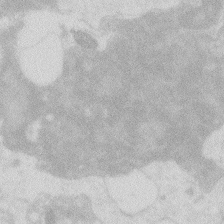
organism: Zebrafish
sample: Macrophage